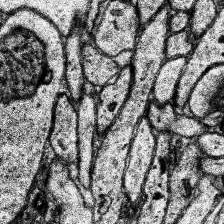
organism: Human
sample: Temporal Lobe